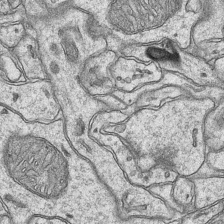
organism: Mouse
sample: CA1 Hippocampus